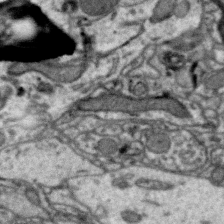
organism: Zebra finch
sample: Brain